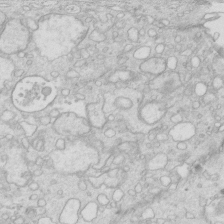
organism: Mouse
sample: Multiciliated cells